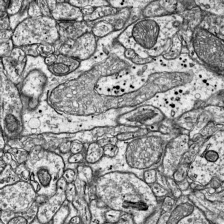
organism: Mouse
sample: Visual Cortex